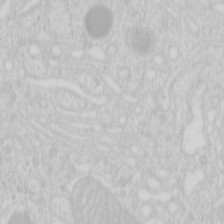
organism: Mouse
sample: Pancreas